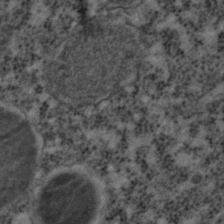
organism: C. elegans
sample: C. elegans embryo